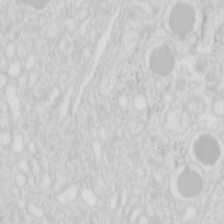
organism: Mouse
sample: Pancreas